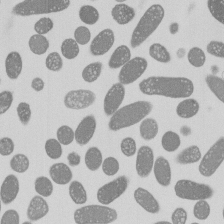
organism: E. coli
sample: Bacterial nucleoid